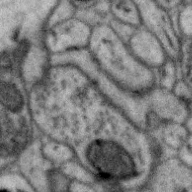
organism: Zebra finch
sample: Brain